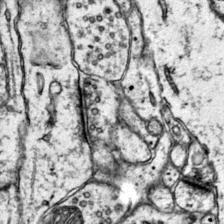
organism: Mouse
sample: Primary visual cortex